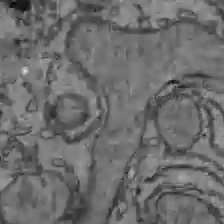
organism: C57BL Mouse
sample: Liver